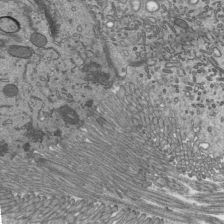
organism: Mouse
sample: Mouse epididymis efferent ductule cilia